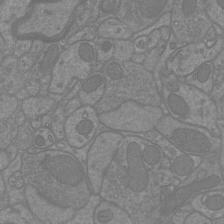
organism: Mouse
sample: Cortical neurons